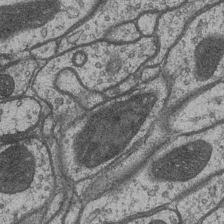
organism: Drosophila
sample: Optic medulla